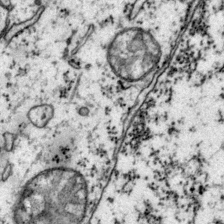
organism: Mouse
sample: Primary visual cortex